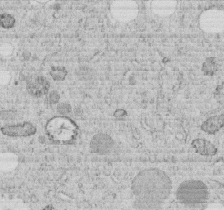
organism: C. elegans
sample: C. elegans embryo early stage